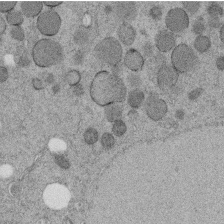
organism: C. elegans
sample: C. elegans embryo early stage